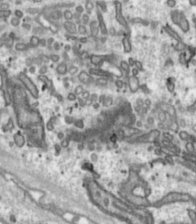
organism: Toxoplasma gondii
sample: Parasites in a vacuole inside a host cell